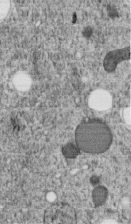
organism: C. elegans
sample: C. elegans embryo early stage